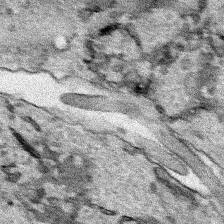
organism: Human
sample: Mitochondria in HCT116 cells